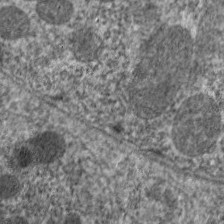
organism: C. elegans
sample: Pharynx